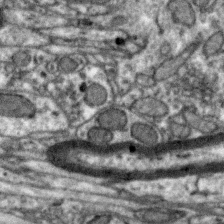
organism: Zebra finch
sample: Brain